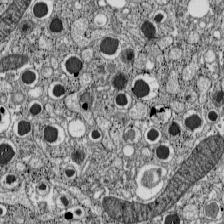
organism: C57BL Mouse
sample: Pancreatic islet